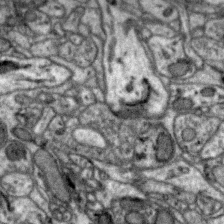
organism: Zebra finch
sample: Brain